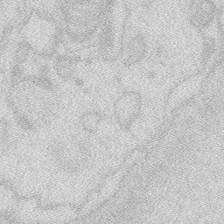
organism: Zebrafish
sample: Macrophage